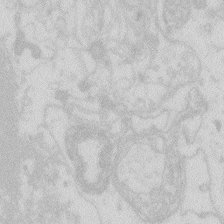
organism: Zebrafish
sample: Macrophage